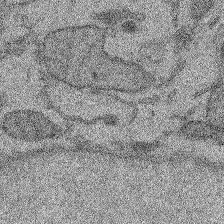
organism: Human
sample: HeLa cells